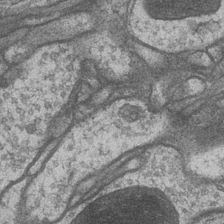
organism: Drosophila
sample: Optic medulla